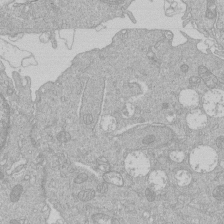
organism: Human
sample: Macrophage cells